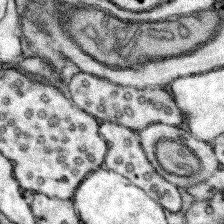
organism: Mouse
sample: Somatosensory cortex neuropil